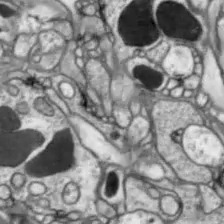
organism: Drosophila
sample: Optic lobe